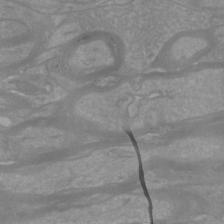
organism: Mouse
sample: Cortical neurons